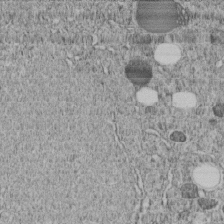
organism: C. elegans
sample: C. elegans embryo early stage